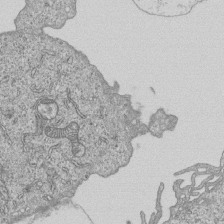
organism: Human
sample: MDA-MB-231 cells